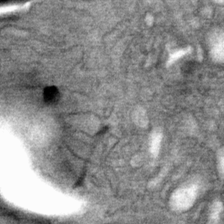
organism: Mouse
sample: Mouse Salivary gland